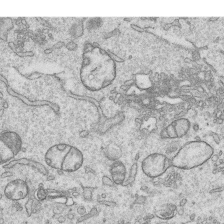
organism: Human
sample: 1205lu cells